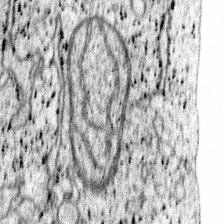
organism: Human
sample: HeLa cells